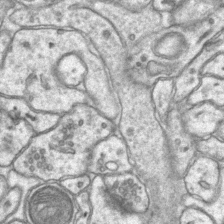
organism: Mouse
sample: CA1 Hippocampus